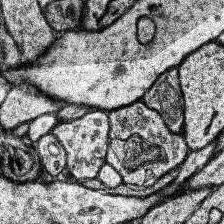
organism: Human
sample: Temporal Lobe